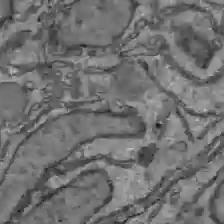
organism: C57BL Mouse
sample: Liver